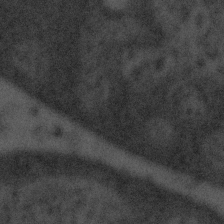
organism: Tuwongella immobilis